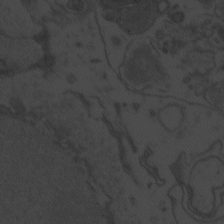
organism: Zebrafish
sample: Macrophage infected with Toxoplasma gondii